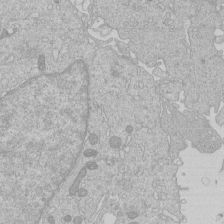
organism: Human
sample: Macrophage cells